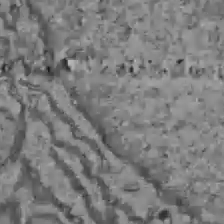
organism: C57BL Mouse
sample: Liver